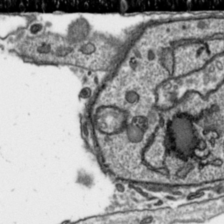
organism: Toxoplasma gondii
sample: Parasites in a vacuole inside a host cell